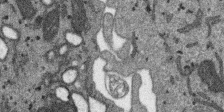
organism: Human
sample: Lung epithelial cells infected with SARS-CoV-2